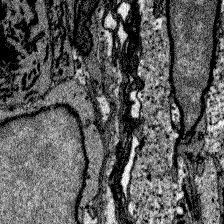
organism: Zebrafish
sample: Larval olfactory bulb